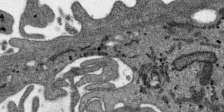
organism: Human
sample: Lung epithelial cells, uninfected (mock) control